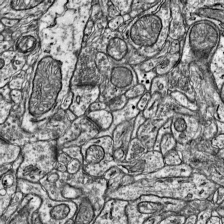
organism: Mouse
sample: Visual Cortex